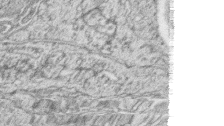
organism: Zebrafish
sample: synaptic ribbons in rod cells and cone cells